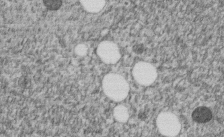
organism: C. elegans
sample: C. elegans embryo early stage